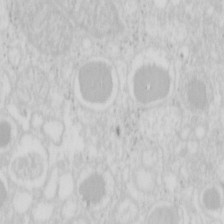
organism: Mouse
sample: Pancreas